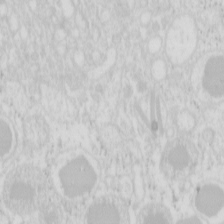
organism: Mouse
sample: Pancreas